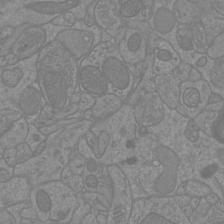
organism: Mouse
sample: Cortical neurons